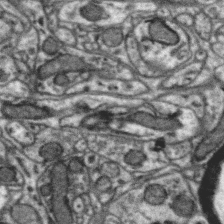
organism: Zebra finch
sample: Brain